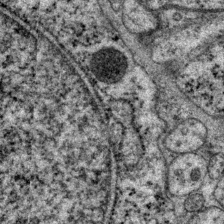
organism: P. pacificus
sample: Pharynx